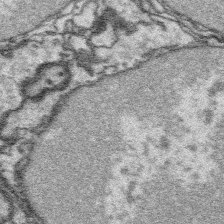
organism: Platynereis dumerilii